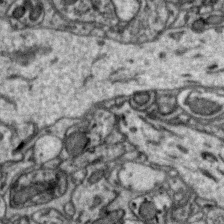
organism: Zebra finch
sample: Brain